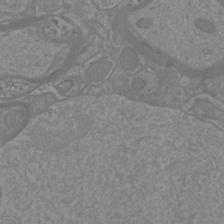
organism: Mouse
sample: Cortical neurons